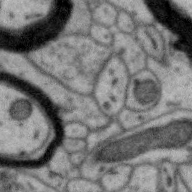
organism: Zebra finch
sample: Brain